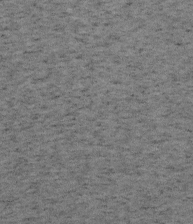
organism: Mouse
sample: OT-I killer T cells with ID8 ovarian cancer cells